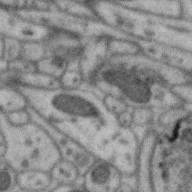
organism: Zebra finch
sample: Brain